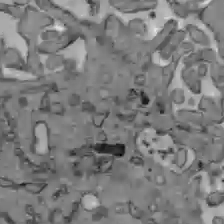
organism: C57BL Mouse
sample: Liver